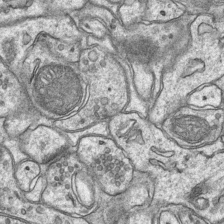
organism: Mouse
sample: CA1 Hippocampus